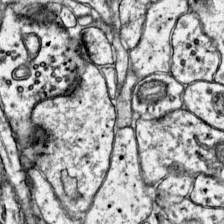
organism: Mouse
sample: Primary visual cortex